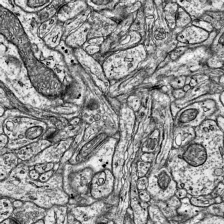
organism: Mouse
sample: Visual Cortex